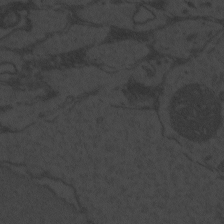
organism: Zebrafish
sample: Macrophage infected with Toxoplasma gondii